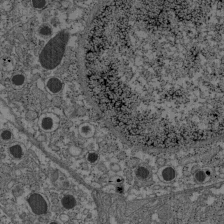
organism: C57BL Mouse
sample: Pancreatic islet